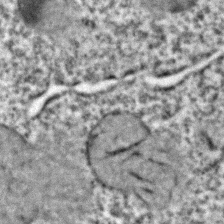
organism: C. elegans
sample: C. elegans embryo